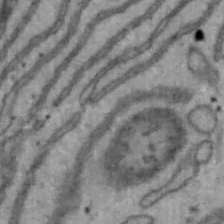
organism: Mouse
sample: Liver